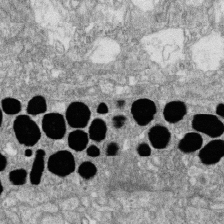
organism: Zebrafish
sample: Cilia; retinal pigment epithelium